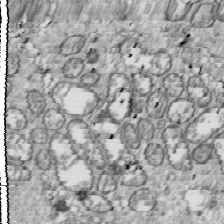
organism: Drosophila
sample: Cell division; meiosis; drosophila spermatocytes